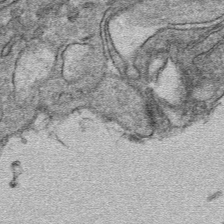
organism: Mouse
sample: Mouse hepatocytes